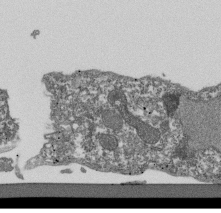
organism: Dictyostelium discoideum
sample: Dictyostelium multivesicular bodies